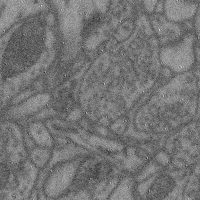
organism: Mouse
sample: Cerebral cortex